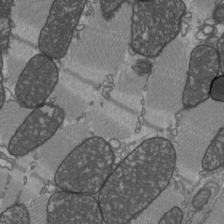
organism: C57BL Mouse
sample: Heart